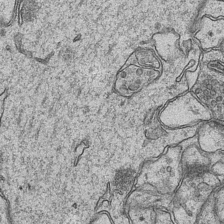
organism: Mouse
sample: CA1 Hippocampus